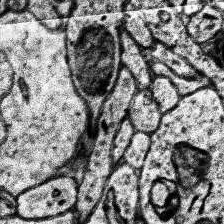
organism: Human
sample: Temporal Lobe